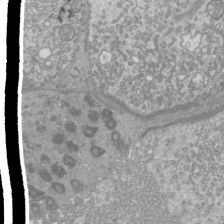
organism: Mouse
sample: Cilia; mouse epididymis